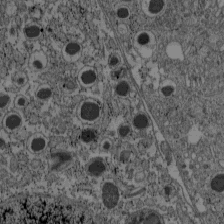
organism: C57BL Mouse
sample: Pancreatic islet